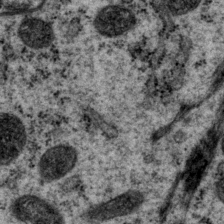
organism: P. pacificus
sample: Pharynx